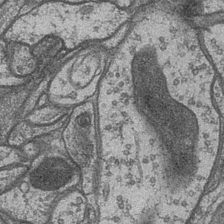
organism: Drosophila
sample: Optic medulla